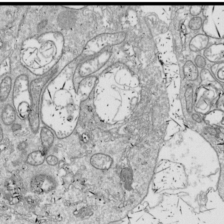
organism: Drosophila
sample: Cell division; meiosis; drosophila spermatocytes